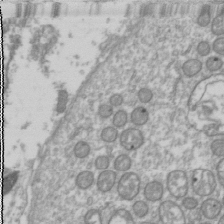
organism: Drosophila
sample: Cell division; meiosis; drosophila spermatocytes